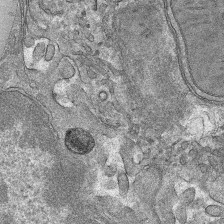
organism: Mouse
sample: Mouse hepatocytes